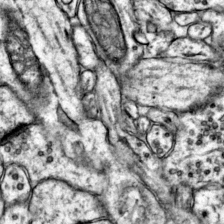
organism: Mouse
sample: Primary visual cortex